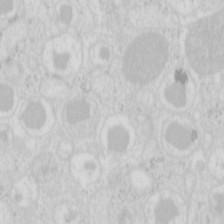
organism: Mouse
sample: Pancreas